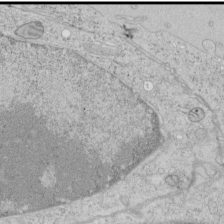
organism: Human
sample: Mitochondria in HCT116 cells